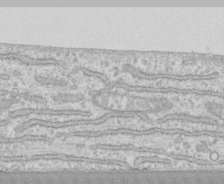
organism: Human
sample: CRL-1474